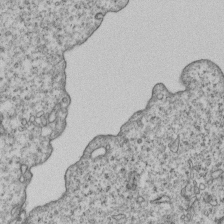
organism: Human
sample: MDA-MB-231 cells